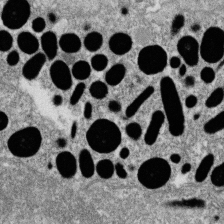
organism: Zebrafish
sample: Cilia; retinal pigment epithelium